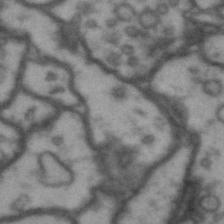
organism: Drosophila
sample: Brain